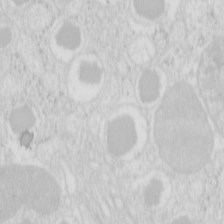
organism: Mouse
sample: Pancreas